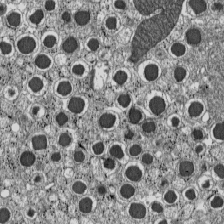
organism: C57BL Mouse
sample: Pancreatic islet